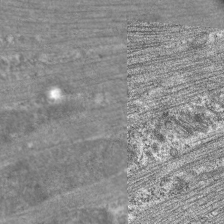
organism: C. elegans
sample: Pharynx